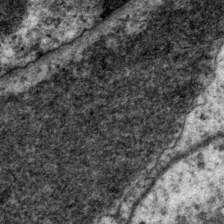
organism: P. pacificus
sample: Pharynx